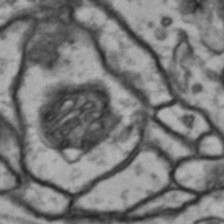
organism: Drosophila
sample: Brain